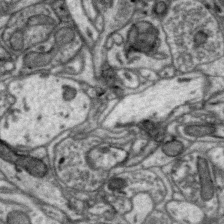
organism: Zebra finch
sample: Brain